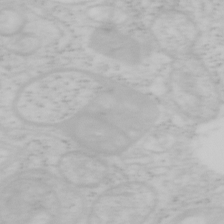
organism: Mouse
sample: OT-I killer T cells with ID8 ovarian cancer cells